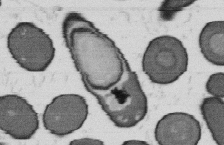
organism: B. subtilis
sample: Bacterial spore